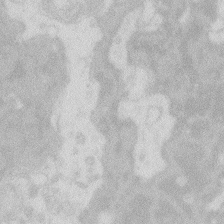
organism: Zebrafish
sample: Macrophage